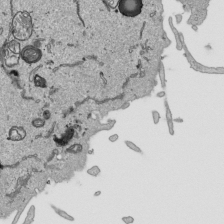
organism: Human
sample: Mitochondria in HCT116 cells